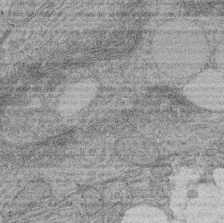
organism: Rat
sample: Salivary granule